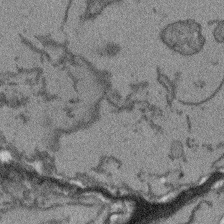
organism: Arabidopsis thaliana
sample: Root tip